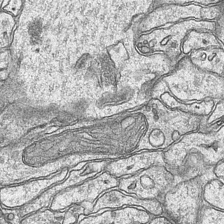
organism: Mouse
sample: CA1 Hippocampus